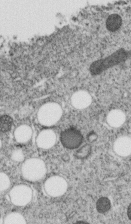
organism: C. elegans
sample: C. elegans embryo early stage